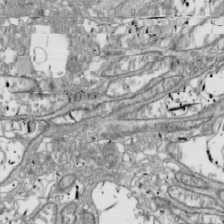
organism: Drosophila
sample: Cell division; meiosis; drosophila spermatocytes